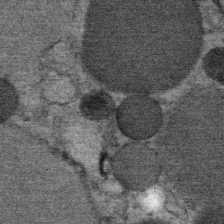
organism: Mouse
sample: Mouse Salivary gland